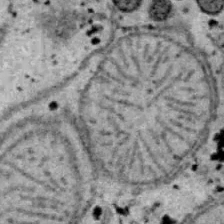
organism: Mouse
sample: Liver from an obese (ob/ob) mouse